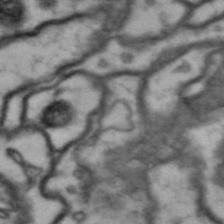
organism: Drosophila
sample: Brain